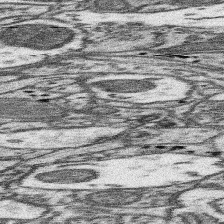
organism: Mouse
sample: Somatosensory cortex neuropil